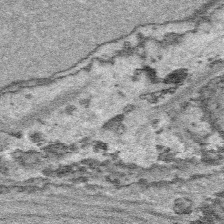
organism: Platynereis dumerilii